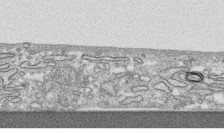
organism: Human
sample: CRL-1474